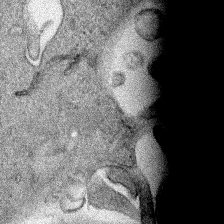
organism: Human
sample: Mitochondria in HCT116 cells